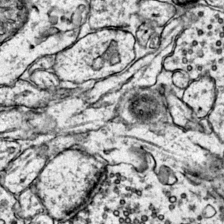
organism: Mouse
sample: Primary visual cortex